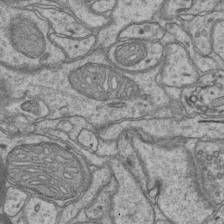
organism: Mouse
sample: CA1 Hippocampus